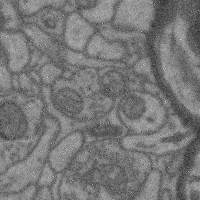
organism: Mouse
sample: Cerebral cortex